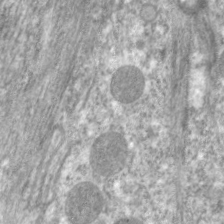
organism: C. elegans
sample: Pharynx